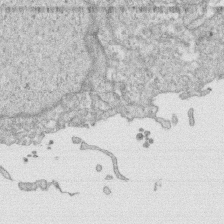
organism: Human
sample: HeLa cell HIV synapse